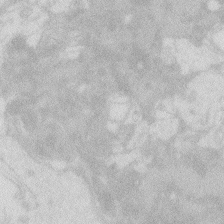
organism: Zebrafish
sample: Macrophage